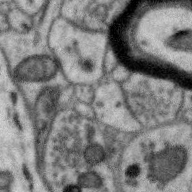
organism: Zebra finch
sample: Brain